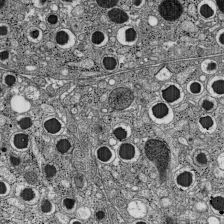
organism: C57BL Mouse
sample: Pancreatic islet